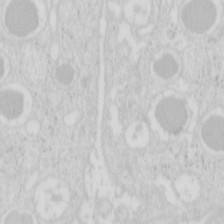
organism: Mouse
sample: Pancreas